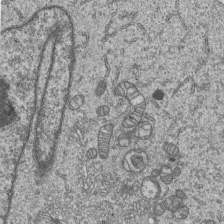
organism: Human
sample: MDA-MB-231 cells